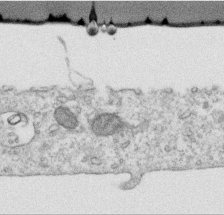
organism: Human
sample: Centriole in RPE cells